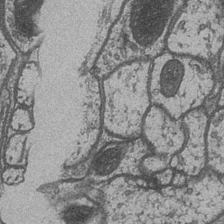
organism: Drosophila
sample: Optic medulla